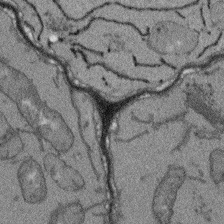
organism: Arabidopsis thaliana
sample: Root tip